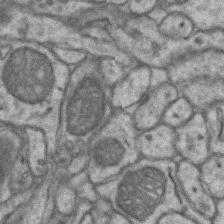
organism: Mouse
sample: CA1 Hippocampus